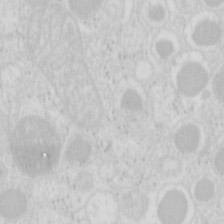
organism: Mouse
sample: Pancreas